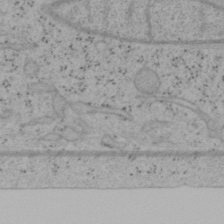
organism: Human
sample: HeLa cells